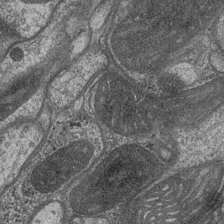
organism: Drosophila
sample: Optic medulla